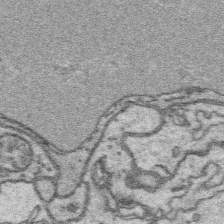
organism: Platynereis dumerilii